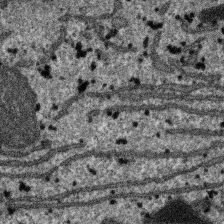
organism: Human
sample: Lung epithelial cells infected with SARS-CoV-2